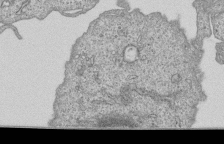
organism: Human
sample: MDA-MB-231 cells